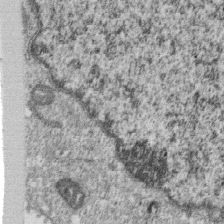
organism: African green monkey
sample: Vero E6 cells infected with SARS-CoV-2